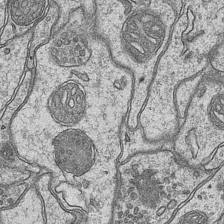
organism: Mouse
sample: CA1 Hippocampus